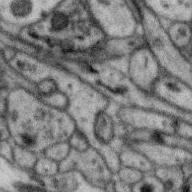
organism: Zebra finch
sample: Brain